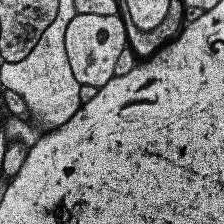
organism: Human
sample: Temporal Lobe